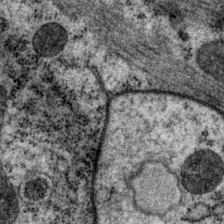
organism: P. pacificus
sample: Pharynx